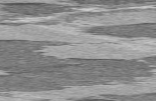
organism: C57BL Mouse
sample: Heart